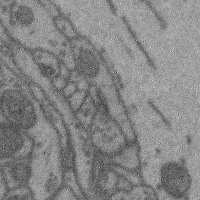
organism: Mouse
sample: Cerebral cortex